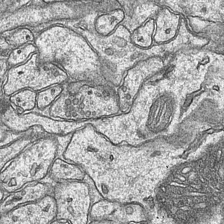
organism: Mouse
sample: CA1 Hippocampus